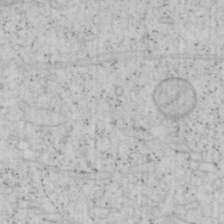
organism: Human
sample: HeLa cells